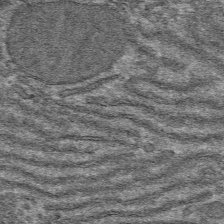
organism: Mouse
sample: Mouse hepatocytes